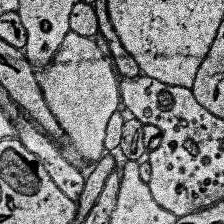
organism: Human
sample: Temporal Lobe